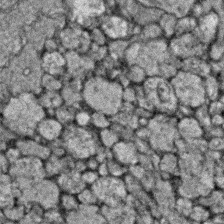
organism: Zebrafish